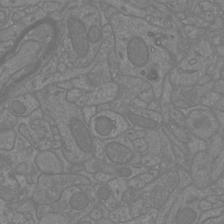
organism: Mouse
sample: Cortical neurons